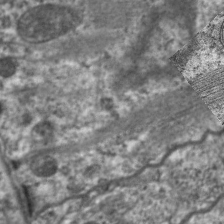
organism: C. elegans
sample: Pharynx